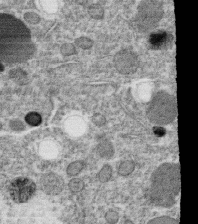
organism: C. elegans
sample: C. elegans oocyte; sperm cells